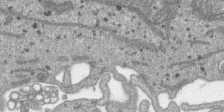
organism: Human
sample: Lung epithelial cells infected with SARS-CoV-2